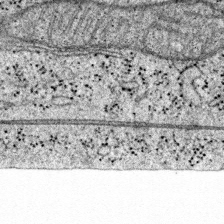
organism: Human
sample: HeLa cells